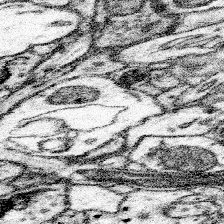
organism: Mouse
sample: Somatosensory cortex neuropil